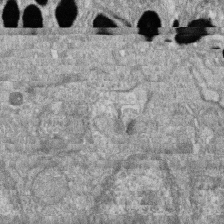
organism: Zebrafish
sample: Cilia; retinal pigment epithelium